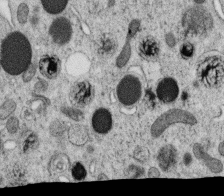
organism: C. elegans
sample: C. elegans oocyte; sperm cells